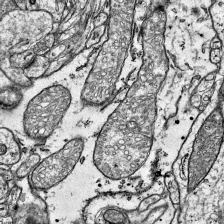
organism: Mouse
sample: Visual Cortex